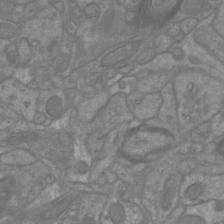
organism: Mouse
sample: Cortical neurons